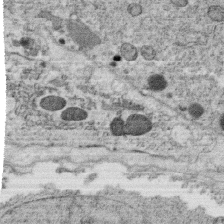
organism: C. elegans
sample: C. elegans oocyte; sperm cells